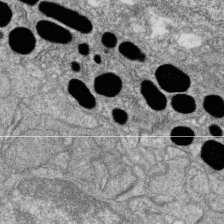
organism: Zebrafish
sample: Cilia; retinal pigment epithelium